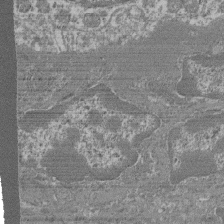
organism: Mouse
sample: Glomerulus